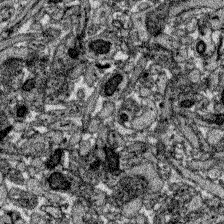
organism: Zebrafish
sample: Larval olfactory bulb